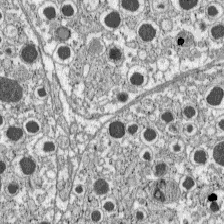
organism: C57BL Mouse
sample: Pancreatic islet